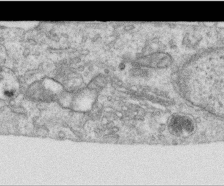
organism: Human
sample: Centriole in RPE cells